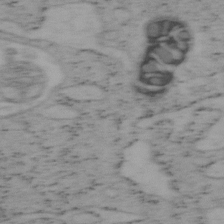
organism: Mouse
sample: OT-I killer T cells with ID8 ovarian cancer cells